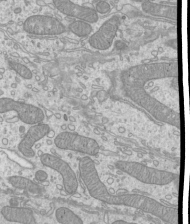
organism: Mouse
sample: Cilia; mouse epididymis